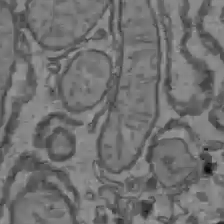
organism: C57BL Mouse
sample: Liver